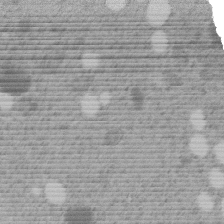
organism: C. elegans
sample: C. elegans embryo early stage